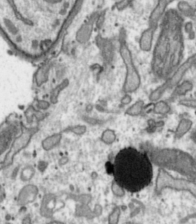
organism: Toxoplasma gondii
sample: Parasites in a vacuole inside a host cell